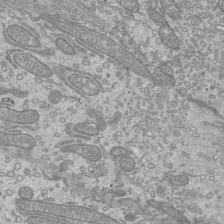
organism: Mouse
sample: Cilia; mouse epididymis